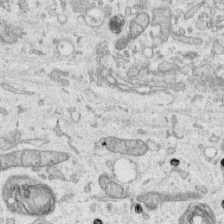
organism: Human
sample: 1205lu cells